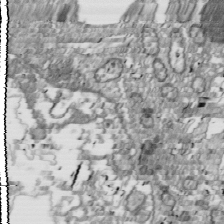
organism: Drosophila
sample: Cell division; meiosis; drosophila spermatocytes